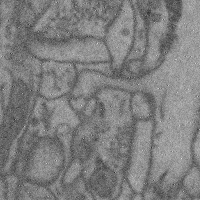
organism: Mouse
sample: Cerebral cortex